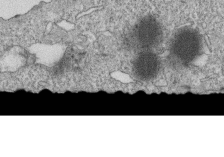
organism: Human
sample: HeLa cell HIV synapse